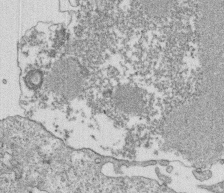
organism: Human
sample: HeLa cell HIV synapse